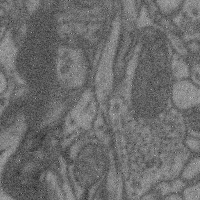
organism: Mouse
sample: Cerebral cortex